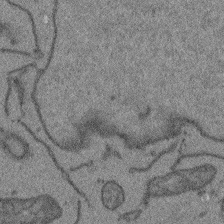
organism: Arabidopsis thaliana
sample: Root tip